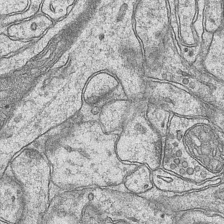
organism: Mouse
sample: CA1 Hippocampus